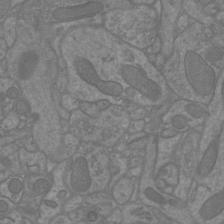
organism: Mouse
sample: Cortical neurons